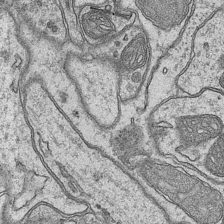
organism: Mouse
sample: CA1 Hippocampus